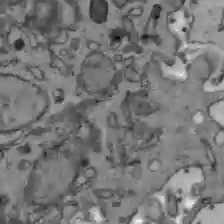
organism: C57BL Mouse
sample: Liver